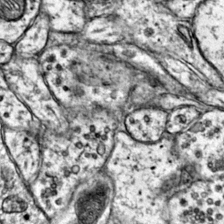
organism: Mouse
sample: Primary visual cortex